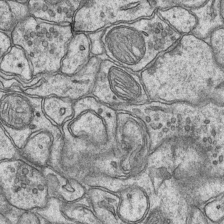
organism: Mouse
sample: CA1 Hippocampus